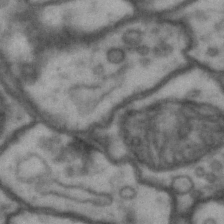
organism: Drosophila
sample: Brain